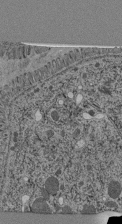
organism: C. elegans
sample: C. elegans pharynx